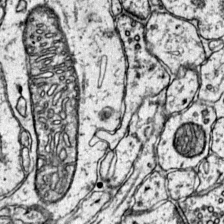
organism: Mouse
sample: Primary visual cortex